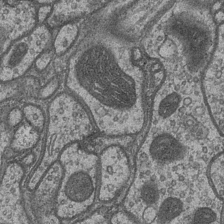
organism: Drosophila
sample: Optic medulla